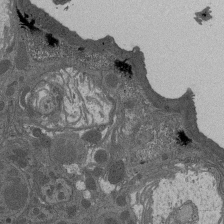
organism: Drosophila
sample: Antenna